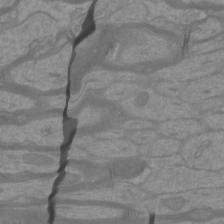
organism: Mouse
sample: Cortical neurons